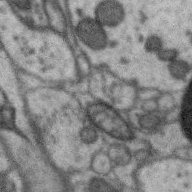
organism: Zebra finch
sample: Brain